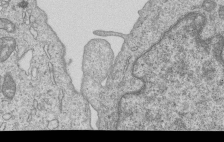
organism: Human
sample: MDA-MB-231 cells